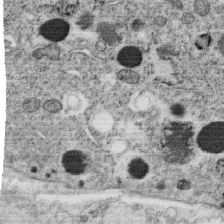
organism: C. elegans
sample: C. elegans oocyte; sperm cells